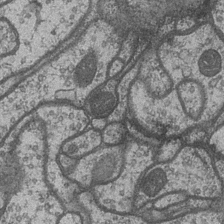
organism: Drosophila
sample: Optic medulla